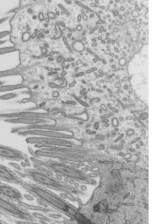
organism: Mouse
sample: Mouse epididymis efferent ductule cilia